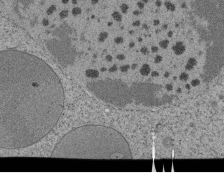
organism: Tetrahymena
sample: Cilia in tetrahymena